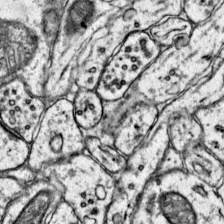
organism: Mouse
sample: Primary visual cortex